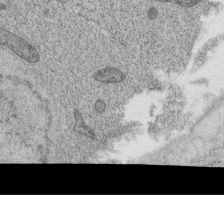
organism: C. elegans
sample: C. elegans oocyte; sperm cells